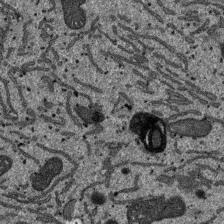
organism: Human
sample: Lung epithelial cells infected with SARS-CoV-2